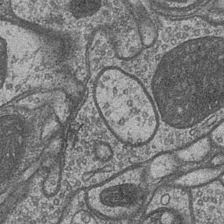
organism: Drosophila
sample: Optic medulla